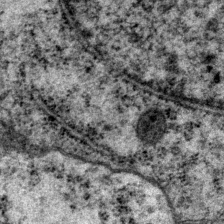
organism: P. pacificus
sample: Pharynx